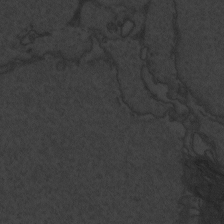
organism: Zebrafish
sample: Macrophage infected with Toxoplasma gondii